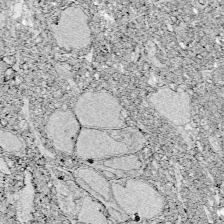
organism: Zebrafish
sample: Whole-Brain